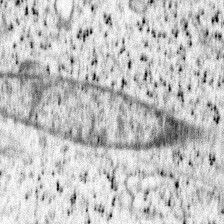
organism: Human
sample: HeLa cells